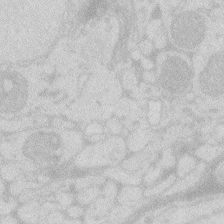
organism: Zebrafish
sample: Macrophage